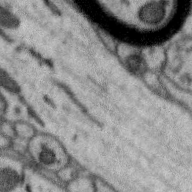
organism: Zebra finch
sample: Brain